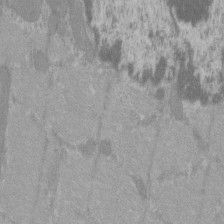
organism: C57BL Mouse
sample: Tibialis anterior muscle cell